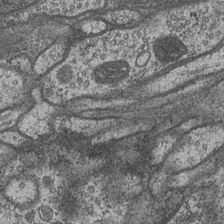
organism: Drosophila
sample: Optic medulla